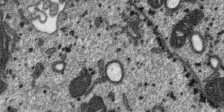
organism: Human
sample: Lung epithelial cells infected with SARS-CoV-2